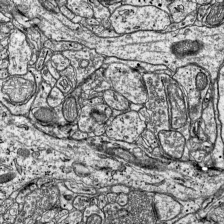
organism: Mouse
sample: Visual Cortex